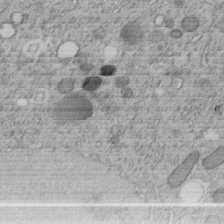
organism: C. elegans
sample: C. elegans embryo early stage